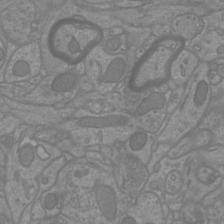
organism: Mouse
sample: Cortical neurons